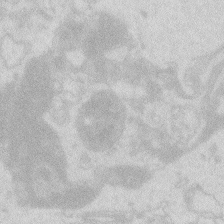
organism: Zebrafish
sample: Macrophage